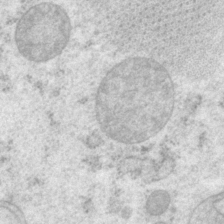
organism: P. pacificus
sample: Pharynx